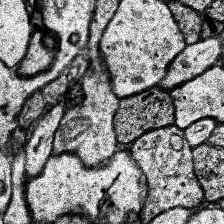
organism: Human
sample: Temporal Lobe